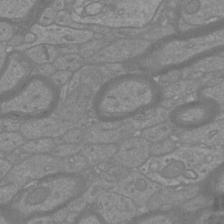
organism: Mouse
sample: Cortical neurons